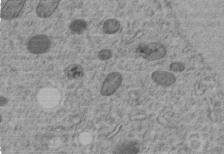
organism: C. elegans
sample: C. elegans embryo early stage